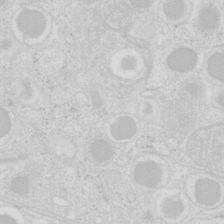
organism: Mouse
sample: Pancreas